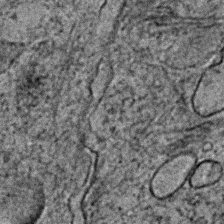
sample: Trachea